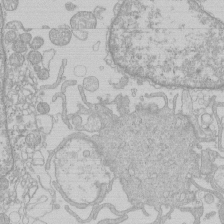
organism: Human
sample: Macrophage cells